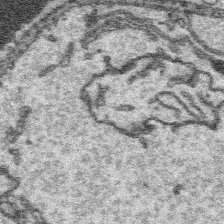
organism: Platynereis dumerilii